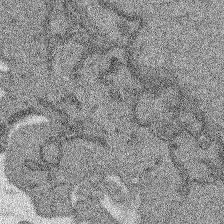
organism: Human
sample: HeLa cells